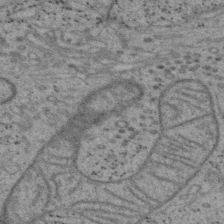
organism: Human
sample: HeLa cells